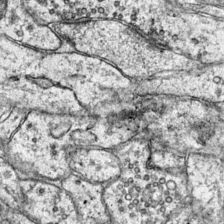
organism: Mouse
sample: Primary visual cortex